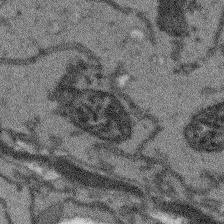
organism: Arabidopsis thaliana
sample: Root tip